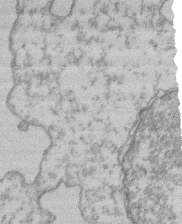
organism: Mouse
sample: T cell stromal cell synapse